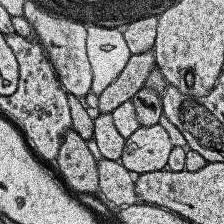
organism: Human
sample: Temporal Lobe